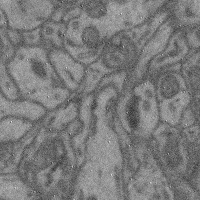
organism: Mouse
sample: Cerebral cortex